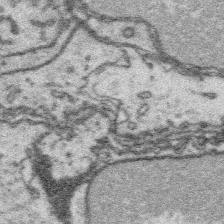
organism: Platynereis dumerilii